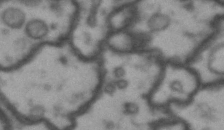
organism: Drosophila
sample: Brain